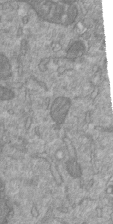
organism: Mouse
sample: ED-1 cell nuclei; centrioles